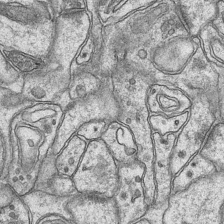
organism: Mouse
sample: CA1 Hippocampus